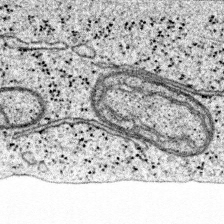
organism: Human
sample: HeLa cells